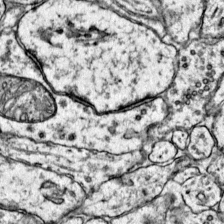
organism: Mouse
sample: Primary visual cortex